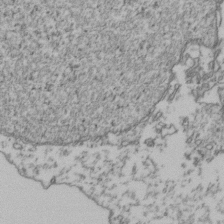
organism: Human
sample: Activated Jurkat CD4+ T cells